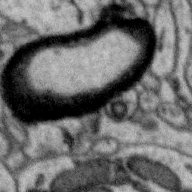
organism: Zebra finch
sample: Brain